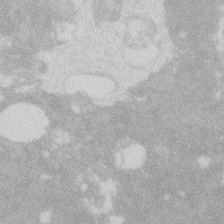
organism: Zebrafish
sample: Macrophage